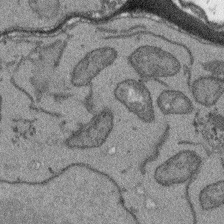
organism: Arabidopsis thaliana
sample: Root tip